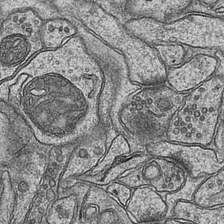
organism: Mouse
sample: CA1 Hippocampus